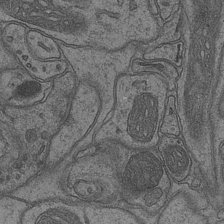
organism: Mouse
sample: CA1 Hippocampus